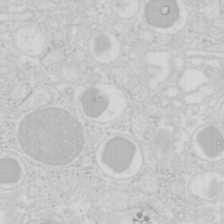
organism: Mouse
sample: Pancreas